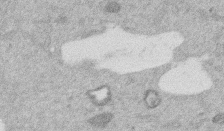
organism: Mouse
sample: Dividing mouse embryo 1 cell stage